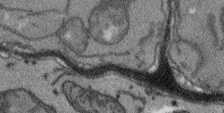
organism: Arabidopsis thaliana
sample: Root tip